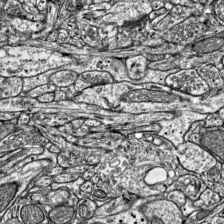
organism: Mouse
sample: Visual Cortex